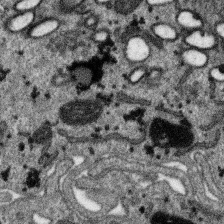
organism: Human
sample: Lung epithelial cells infected with SARS-CoV-2